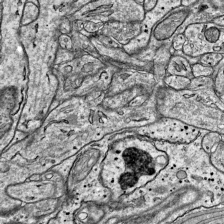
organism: Mouse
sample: Visual Cortex